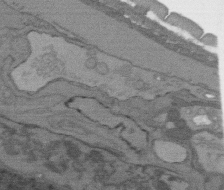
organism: C. elegans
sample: AFD neurons C. elegans